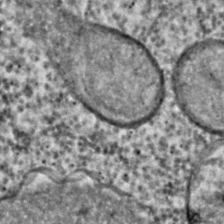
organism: C. elegans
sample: C. elegans embryo